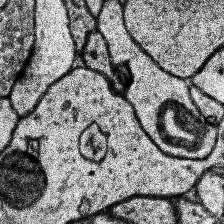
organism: Human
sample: Temporal Lobe